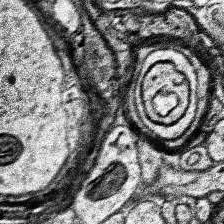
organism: Human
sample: Temporal Lobe